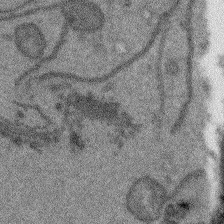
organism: Arabidopsis thaliana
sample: Root tip